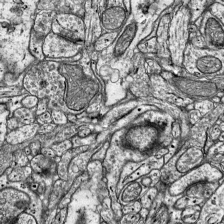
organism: Mouse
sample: Visual Cortex